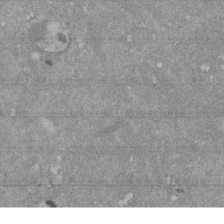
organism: Mouse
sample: ED-1 cell nuclei; centrioles